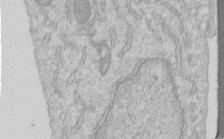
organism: Human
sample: Centriole in RPE cells